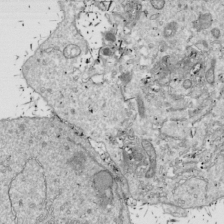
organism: Drosophila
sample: Cell division; meiosis; drosophila spermatocytes